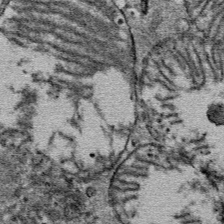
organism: Mouse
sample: Mouse Salivary gland